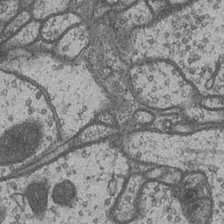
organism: Drosophila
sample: Optic medulla